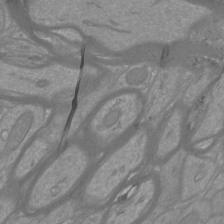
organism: Mouse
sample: Cortical neurons